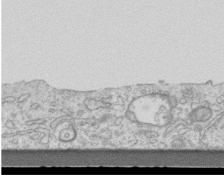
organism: Mouse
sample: Centriole in ependymal cells